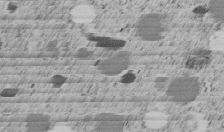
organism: C. elegans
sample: C. elegans embryo early stage